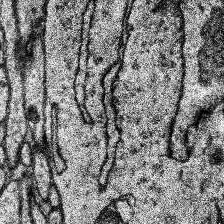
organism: Human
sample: Temporal Lobe